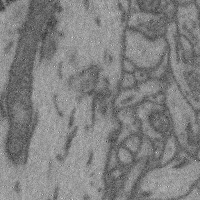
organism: Mouse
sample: Cerebral cortex